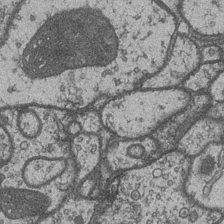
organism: Drosophila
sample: Optic medulla